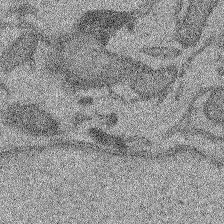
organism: Human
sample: HeLa cells